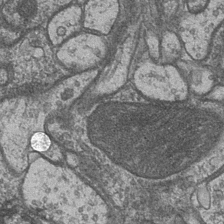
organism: Drosophila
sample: Optic medulla